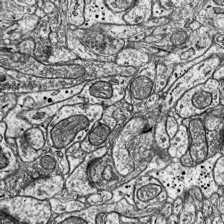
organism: Mouse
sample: Visual Cortex